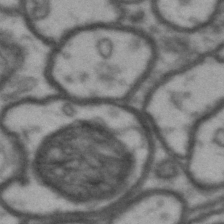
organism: Drosophila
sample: Brain